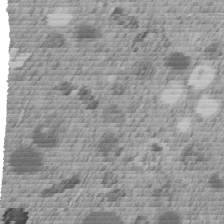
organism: C. elegans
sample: C. elegans embryo early stage